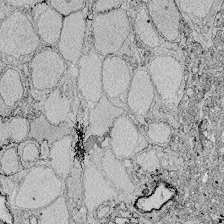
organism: Zebrafish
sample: Whole-Brain